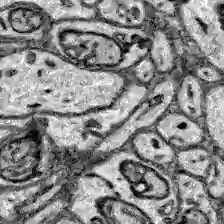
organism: Zebrafish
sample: Brain